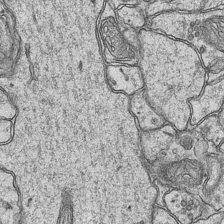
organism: Mouse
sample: CA1 Hippocampus